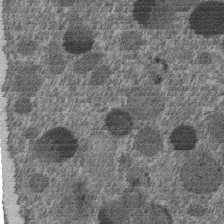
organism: C. elegans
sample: C. elegans embryo early stage